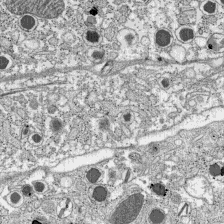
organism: C57BL Mouse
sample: Pancreatic islet